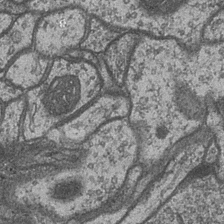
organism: Drosophila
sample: Optic medulla